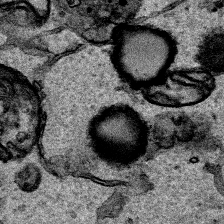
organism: Human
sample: Mitochondria in HCT116 cells